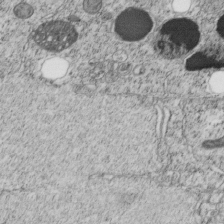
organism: C. elegans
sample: C. elegans embryo early stage